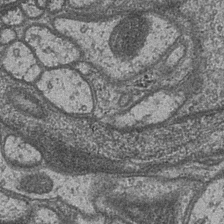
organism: Drosophila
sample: Optic medulla